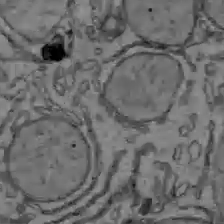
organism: C57BL Mouse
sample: Liver